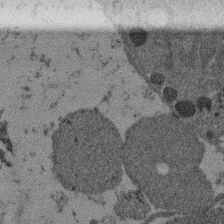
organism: Mouse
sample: Dividing mouse embryo 1 cell stage